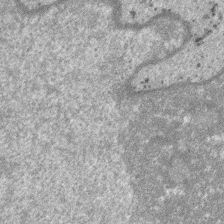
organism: Human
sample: Lung epithelial cells infected with SARS-CoV-2